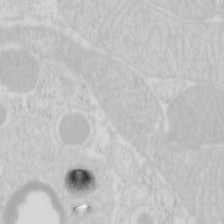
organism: Mouse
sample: Pancreas